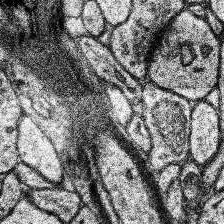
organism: Human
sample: Temporal Lobe